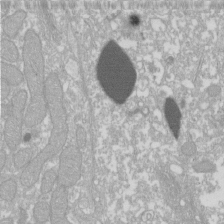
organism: Xenopus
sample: Cilia; centrioles in frog embryo cells